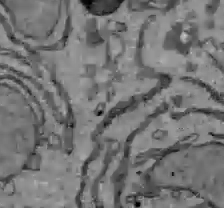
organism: C57BL Mouse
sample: Liver